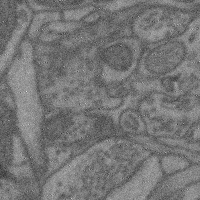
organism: Mouse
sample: Cerebral cortex